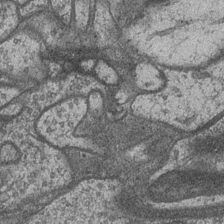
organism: Drosophila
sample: Optic medulla